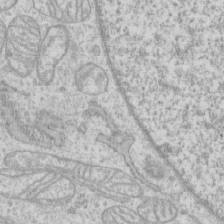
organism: Human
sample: CRL-1474